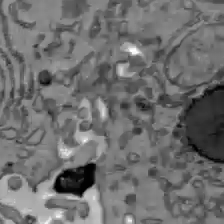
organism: C57BL Mouse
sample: Liver